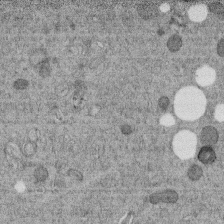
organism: C. elegans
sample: C. elegans embryo early stage